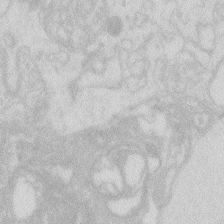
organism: Zebrafish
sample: Macrophage